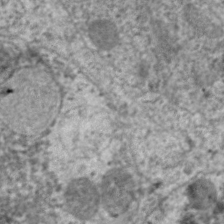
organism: C. elegans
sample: Pharynx